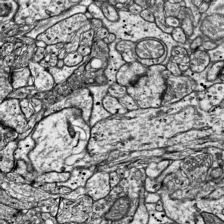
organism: Mouse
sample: Visual Cortex